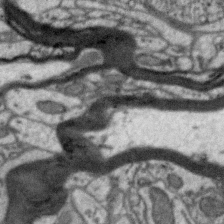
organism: Zebra finch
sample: Brain